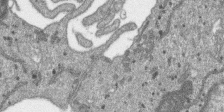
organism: Human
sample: Lung epithelial cells infected with SARS-CoV-2